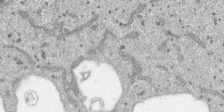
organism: Human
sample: Lung epithelial cells infected with SARS-CoV-2